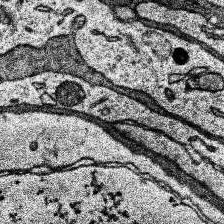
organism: Human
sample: Temporal Lobe